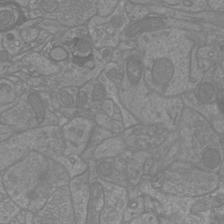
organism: Mouse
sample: Cortical neurons